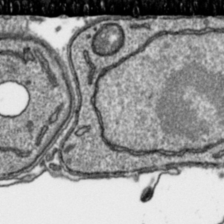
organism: Toxoplasma gondii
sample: Parasites in a vacuole inside a host cell